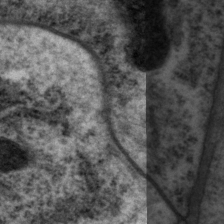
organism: P. pacificus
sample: Pharynx